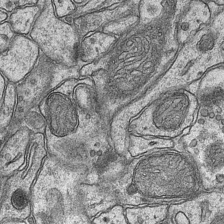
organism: Mouse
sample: CA1 Hippocampus